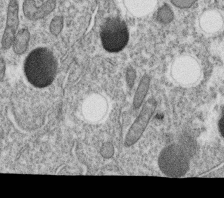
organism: C. elegans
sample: C. elegans oocyte; sperm cells